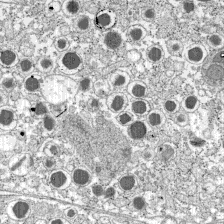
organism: C57BL Mouse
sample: Pancreatic islet